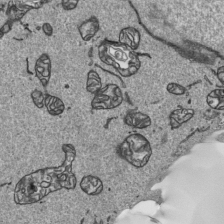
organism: Human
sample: Mitochondria in HCT116 cells